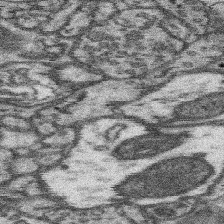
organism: Mouse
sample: Somatosensory cortex neuropil